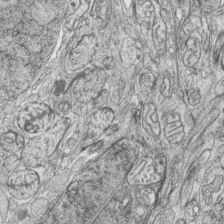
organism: Zebrafish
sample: synaptic ribbons in rod cells and cone cells